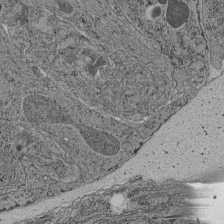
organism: C. elegans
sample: C. elegans pharynx